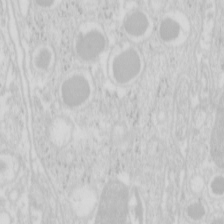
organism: Mouse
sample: Pancreas